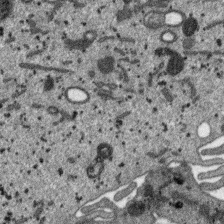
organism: Human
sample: Lung epithelial cells infected with SARS-CoV-2